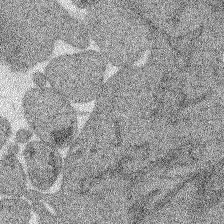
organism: Human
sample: HeLa cells